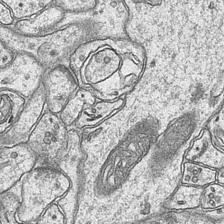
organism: Mouse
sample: CA1 Hippocampus